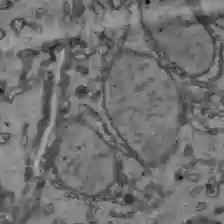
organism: C57BL Mouse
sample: Liver